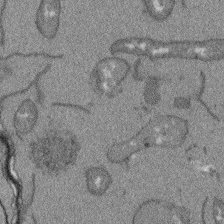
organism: Arabidopsis thaliana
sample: Root tip